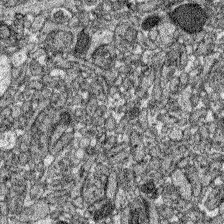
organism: Zebrafish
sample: Larval olfactory bulb